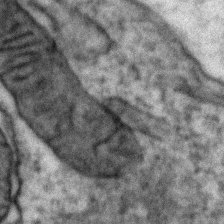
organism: Zebrafish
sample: Zebrafish embryo